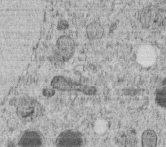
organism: C. elegans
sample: C. elegans embryo early stage